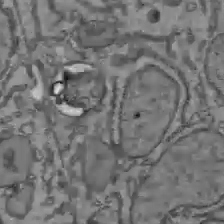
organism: C57BL Mouse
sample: Liver